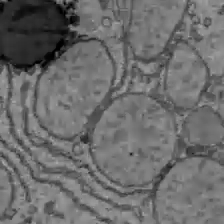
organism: C57BL Mouse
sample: Liver